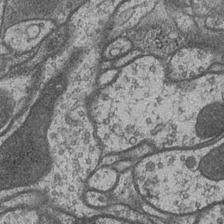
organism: Drosophila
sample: Optic medulla